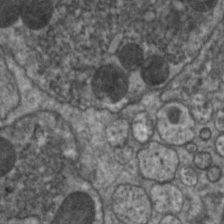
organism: C. elegans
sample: Pharynx